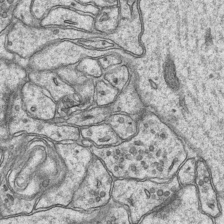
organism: Mouse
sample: CA1 Hippocampus